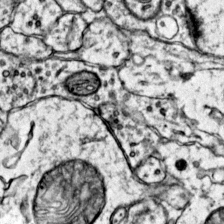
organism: Mouse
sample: Primary visual cortex